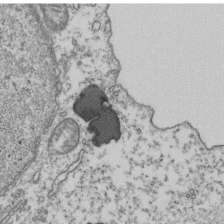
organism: Human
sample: Activated Jurkat CD4+ T cells